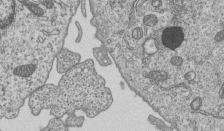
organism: Human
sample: MDA-MB-231 cells